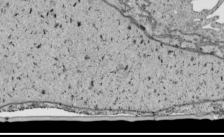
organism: Human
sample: Mitochondria in HCT116 cells